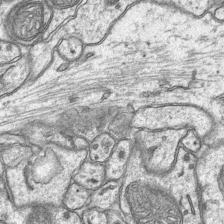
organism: Mouse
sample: CA1 Hippocampus